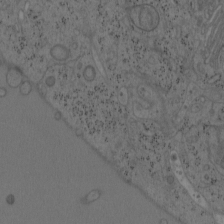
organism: Mouse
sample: OT-I killer T cells with ID8 ovarian cancer cells